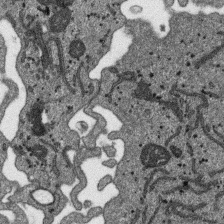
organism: Human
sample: Lung epithelial cells infected with SARS-CoV-2